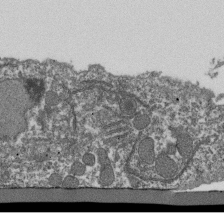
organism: Dictyostelium discoideum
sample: Dictyostelium multivesicular bodies